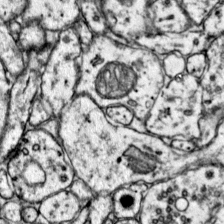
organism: Mouse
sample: Primary visual cortex